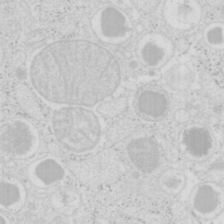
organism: Mouse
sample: Pancreas